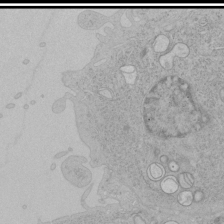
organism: Human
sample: Mitochondria in HCT116 cells